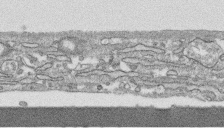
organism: Human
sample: CRL-1474